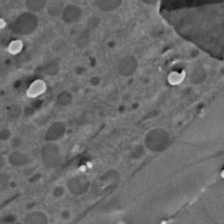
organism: C. elegans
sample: C. elegans embryo